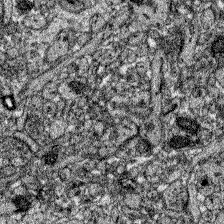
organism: Zebrafish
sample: Larval olfactory bulb